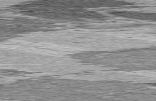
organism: C57BL Mouse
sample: Heart